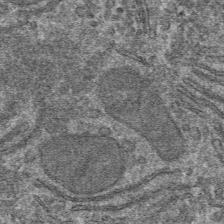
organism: Mouse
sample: Mouse hepatocytes